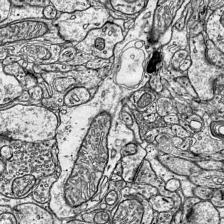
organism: Mouse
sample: Visual Cortex